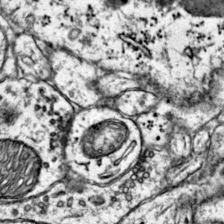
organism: Mouse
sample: Primary visual cortex